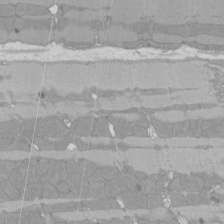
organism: Rat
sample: Left ventricle